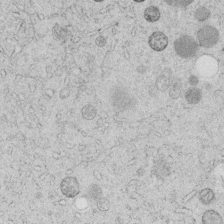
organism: C. elegans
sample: C. elegans embryo early stage